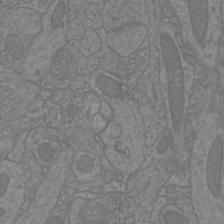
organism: Mouse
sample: Cortical neurons